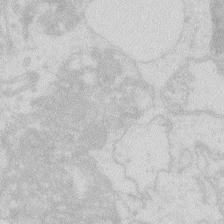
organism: Zebrafish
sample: Macrophage